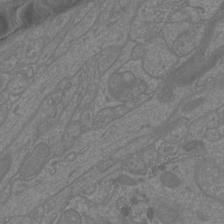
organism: Mouse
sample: Cortical neurons